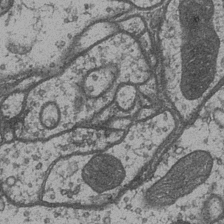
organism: Drosophila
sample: Optic medulla